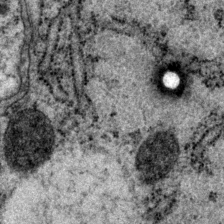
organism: P. pacificus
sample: Pharynx